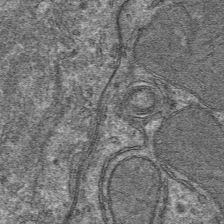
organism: Mouse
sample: Mouse hepatocytes